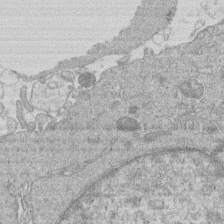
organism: Human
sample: Macrophage cells